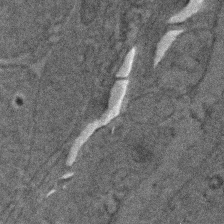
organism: Zebrafish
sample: Zebrafish embryo